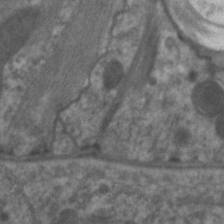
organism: C. elegans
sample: Pharynx